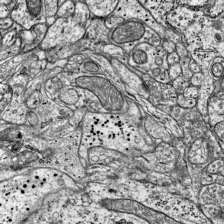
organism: Mouse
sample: Visual Cortex